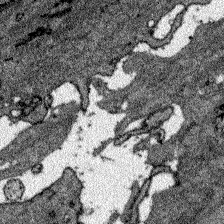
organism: Zebrafish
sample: Larval olfactory bulb